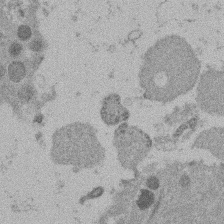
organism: Mouse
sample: Dividing mouse embryo 1 cell stage